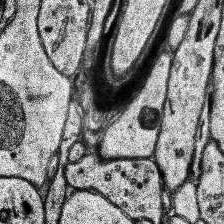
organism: Human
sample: Temporal Lobe